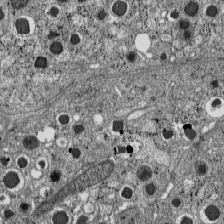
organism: C57BL Mouse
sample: Pancreatic islet